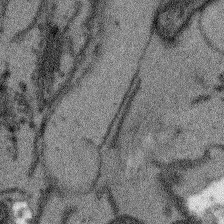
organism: Arabidopsis thaliana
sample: Root tip